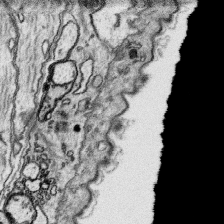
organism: Platynereis dumerilii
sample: Parapodia